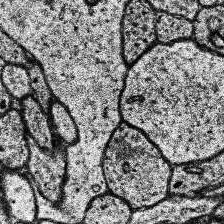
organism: Human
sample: Temporal Lobe